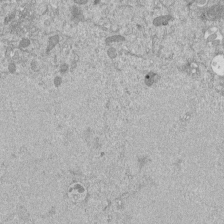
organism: Mouse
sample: ED-1 cell nuclei; centrioles